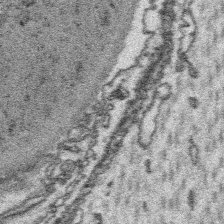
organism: Platynereis dumerilii